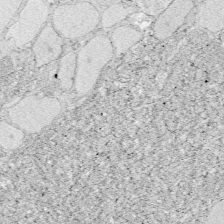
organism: Zebrafish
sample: Whole-Brain